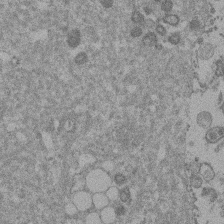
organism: Mouse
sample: Dividing mouse embryo 1 cell stage